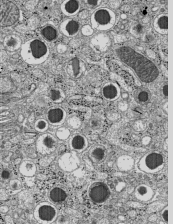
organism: C57BL Mouse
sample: Pancreatic islet